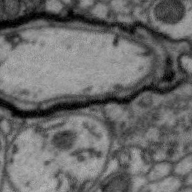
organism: Zebra finch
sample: Brain